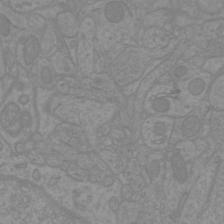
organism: Mouse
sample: Cortical neurons